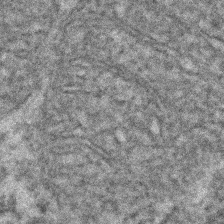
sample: Kidney